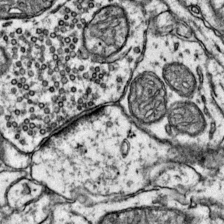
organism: Mouse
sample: Primary visual cortex